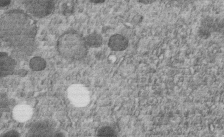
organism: C. elegans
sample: C. elegans embryo early stage